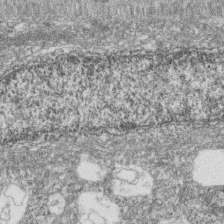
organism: Zebrafish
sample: Cilia; retinal pigment epithelium